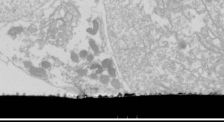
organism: Drosophila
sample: Cell division; meiosis; drosophila spermatocytes